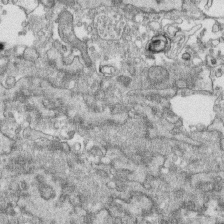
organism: Human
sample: CRL-1474